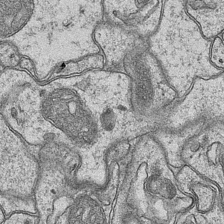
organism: Mouse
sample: CA1 Hippocampus